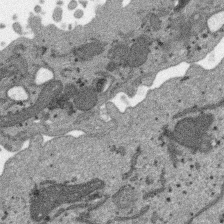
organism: Human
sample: Lung epithelial cells infected with SARS-CoV-2